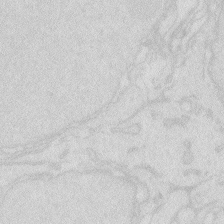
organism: Zebrafish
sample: Macrophage